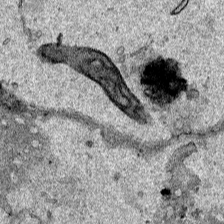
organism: Human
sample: Mitochondria in HCT116 cells